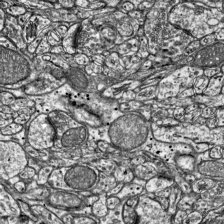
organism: Mouse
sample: Visual Cortex